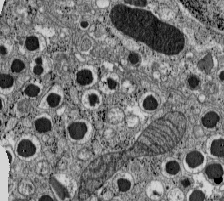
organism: C57BL Mouse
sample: Pancreatic islet